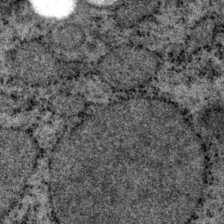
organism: P. pacificus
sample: Pharynx